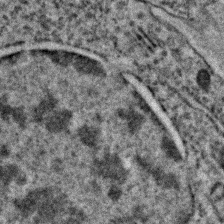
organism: C. elegans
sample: C. elegans embryo